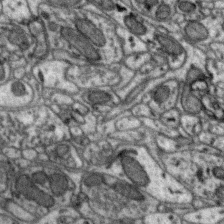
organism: Zebra finch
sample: Brain